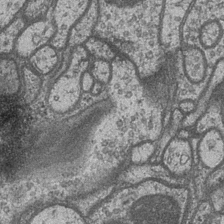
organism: Drosophila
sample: Optic medulla